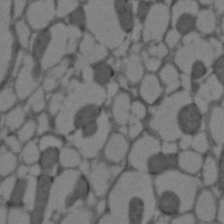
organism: C. elegans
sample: C. elegans embryo